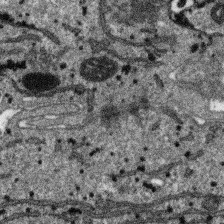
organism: Human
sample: Lung epithelial cells infected with SARS-CoV-2